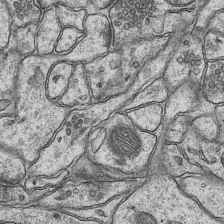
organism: Mouse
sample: CA1 Hippocampus